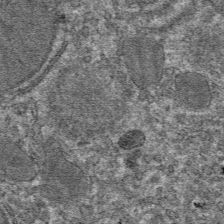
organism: Mouse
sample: Mouse hepatocytes